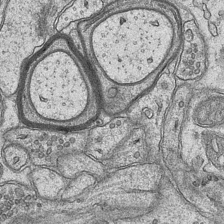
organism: Mouse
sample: CA1 Hippocampus